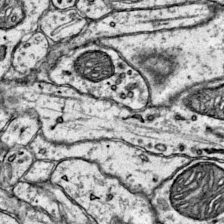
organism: Mouse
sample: Primary visual cortex